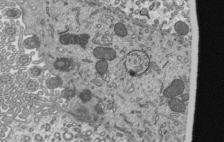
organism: Mouse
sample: Mouse epididymis efferent ductule cilia